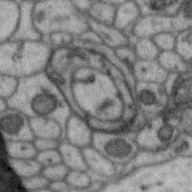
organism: Zebra finch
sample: Brain